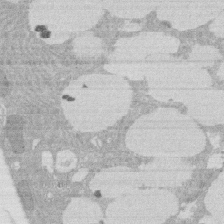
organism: Rat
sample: Salivary granule